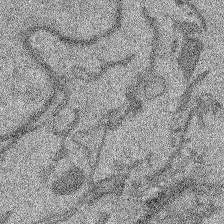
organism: Human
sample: HeLa cells